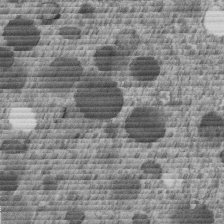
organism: C. elegans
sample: C. elegans embryo early stage